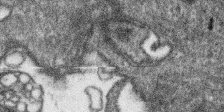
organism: Human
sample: Lung epithelial cells infected with SARS-CoV-2